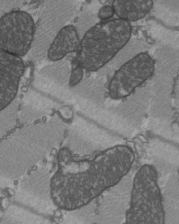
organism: C57BL Mouse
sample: Heart